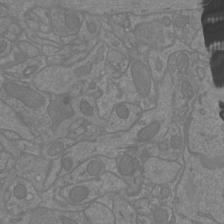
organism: Mouse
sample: Cortical neurons